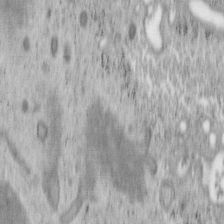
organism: Human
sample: HeLa cells